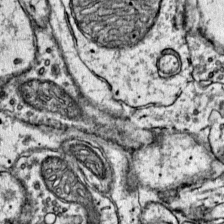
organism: Mouse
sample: Primary visual cortex